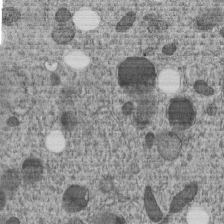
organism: C. elegans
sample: C. elegans embryo early stage